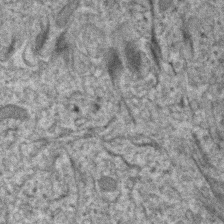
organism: Human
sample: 1205lu cells